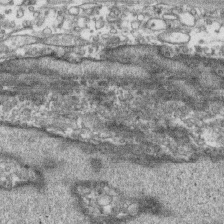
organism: Human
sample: CRL-1474